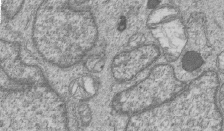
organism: Human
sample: MDA-MB-231 cells